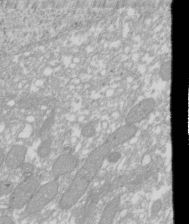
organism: Xenopus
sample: Cilia; centrioles in frog embryo cells